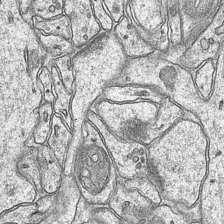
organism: Mouse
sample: CA1 Hippocampus